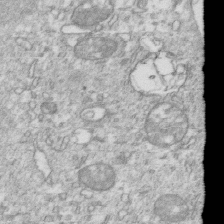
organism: Mouse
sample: Activated OT-1 CD8+ T cells